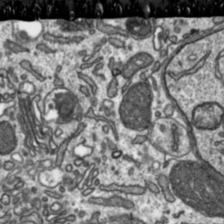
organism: Toxoplasma gondii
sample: Parasites in a vacuole inside a host cell